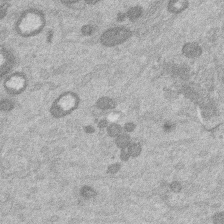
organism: Mouse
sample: Dividing mouse embryo 1 cell stage